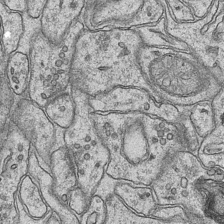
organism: Mouse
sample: CA1 Hippocampus